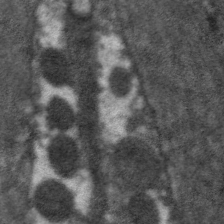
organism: C. elegans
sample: Pharynx